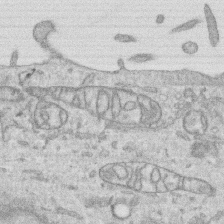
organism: Human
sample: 1205lu cells